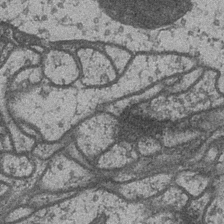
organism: Drosophila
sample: Optic medulla